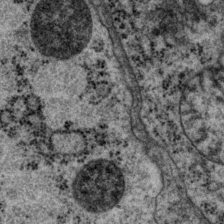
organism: P. pacificus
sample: Pharynx